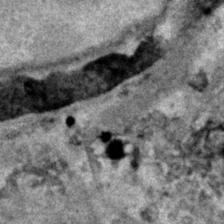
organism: Human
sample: Mitochondria in HCT116 cells